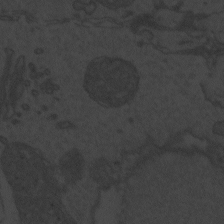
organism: Zebrafish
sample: Macrophage infected with Toxoplasma gondii